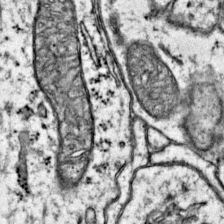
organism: Mouse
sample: Primary visual cortex